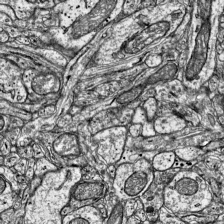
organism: Mouse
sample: Visual Cortex